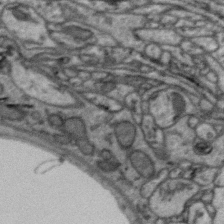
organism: Zebra finch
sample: Brain